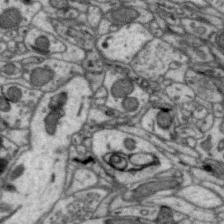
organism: Zebra finch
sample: Brain